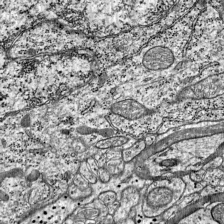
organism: Mouse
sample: Visual Cortex